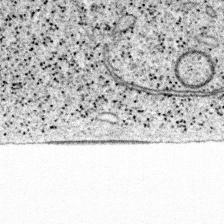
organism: Human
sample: HeLa cells